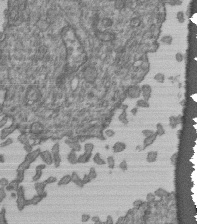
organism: Human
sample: Retinal organoid Rod and Cone cells